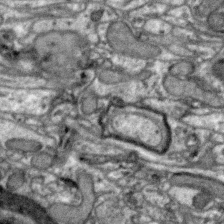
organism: Zebra finch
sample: Brain